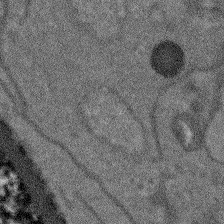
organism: Arabidopsis thaliana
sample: Root tip